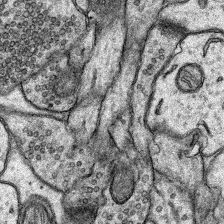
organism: Rat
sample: Hippocampus